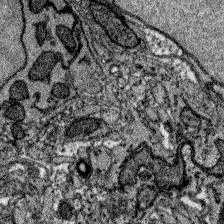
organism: Zebrafish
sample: Larval olfactory bulb